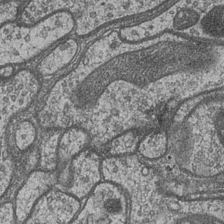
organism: Drosophila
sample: Optic medulla